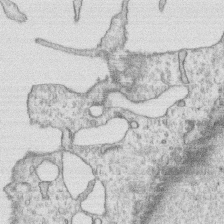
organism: Human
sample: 1205lu cells